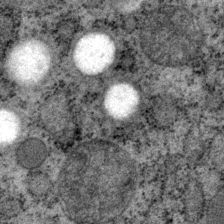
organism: P. pacificus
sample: Pharynx